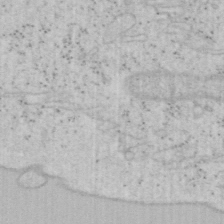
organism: Human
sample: HeLa cells